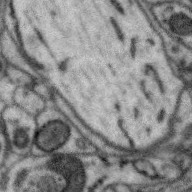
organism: Zebra finch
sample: Brain